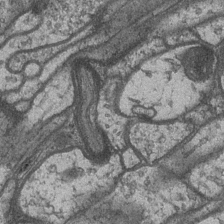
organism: Drosophila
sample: Optic medulla